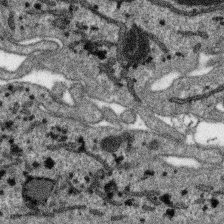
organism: Human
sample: Lung epithelial cells infected with SARS-CoV-2